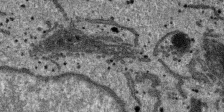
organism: Human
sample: Lung epithelial cells, uninfected (mock) control